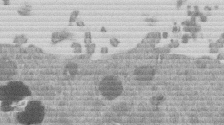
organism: Mouse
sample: Dividing mouse embryo 1 cell stage